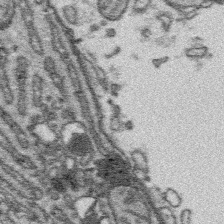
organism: Platynereis dumerilii